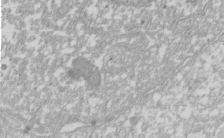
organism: Xenopus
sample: Cilia; centrioles in frog embryo cells